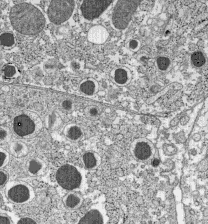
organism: C57BL Mouse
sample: Pancreatic islet